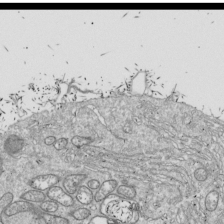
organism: Drosophila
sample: Cell division; meiosis; drosophila spermatocytes